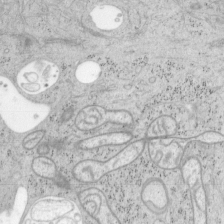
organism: Mouse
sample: OT-I killer T cells with ID8 ovarian cancer cells